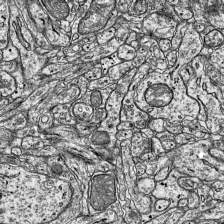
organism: Mouse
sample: Visual Cortex